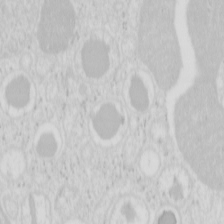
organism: Mouse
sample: Pancreas